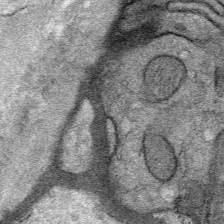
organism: Mouse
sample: Mouse Salivary gland